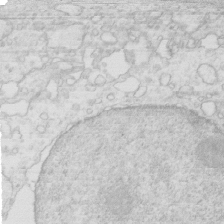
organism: Mouse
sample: Multiciliated cells